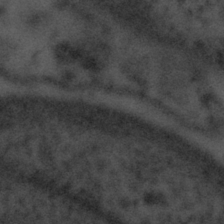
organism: Tuwongella immobilis